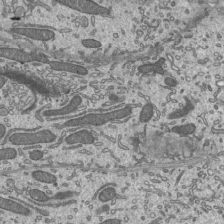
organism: Mouse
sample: Mouse epididymis efferent ductule cilia